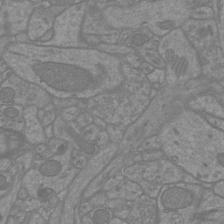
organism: Mouse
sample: Cortical neurons